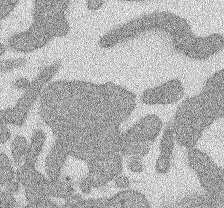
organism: Human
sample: HeLa cells